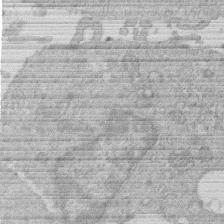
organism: Human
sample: Macrophage cells